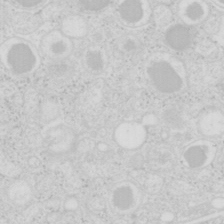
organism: Mouse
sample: Pancreas